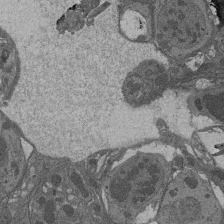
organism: Drosophila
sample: Antenna